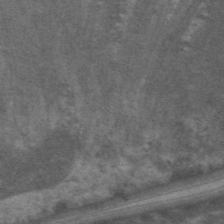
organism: C. elegans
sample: Pharynx